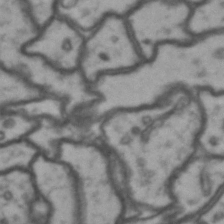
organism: Drosophila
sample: Brain